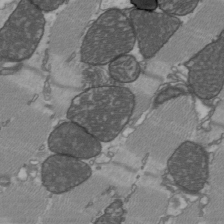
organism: C57BL Mouse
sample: Heart